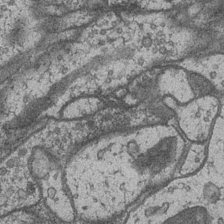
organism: Drosophila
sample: Optic medulla